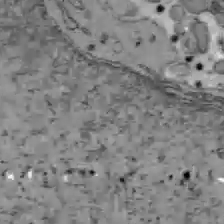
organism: C57BL Mouse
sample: Liver